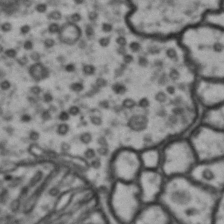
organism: Drosophila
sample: Brain